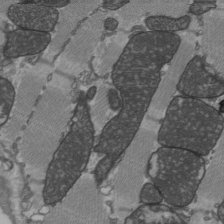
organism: C57BL Mouse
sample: Heart